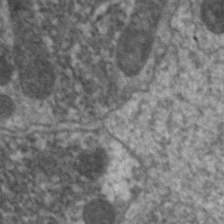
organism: C. elegans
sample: Pharynx